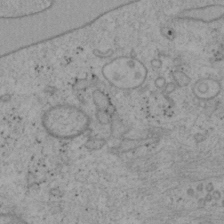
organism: Human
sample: HeLa cells